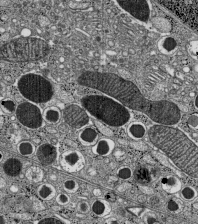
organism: C57BL Mouse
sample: Pancreatic islet